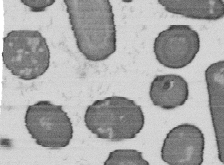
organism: B. subtilis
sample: Bacterial spore